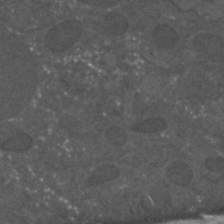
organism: C. elegans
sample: C. elegans embryo